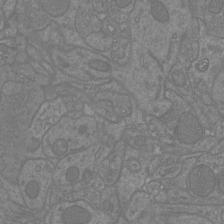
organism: Mouse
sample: Cortical neurons